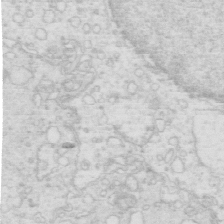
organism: Mouse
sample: Multiciliated cells